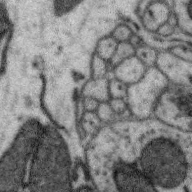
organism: Zebra finch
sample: Brain